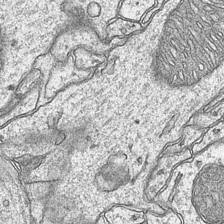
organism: Mouse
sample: CA1 Hippocampus